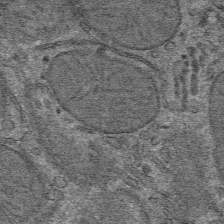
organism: Mouse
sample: Mouse hepatocytes